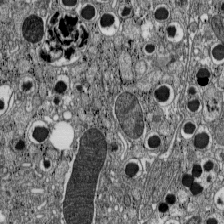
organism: C57BL Mouse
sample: Pancreatic islet